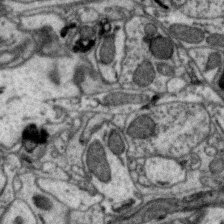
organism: Zebra finch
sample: Brain